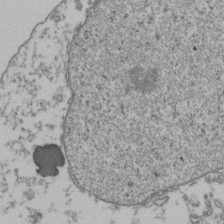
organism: Human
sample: Activated Jurkat CD4+ T cells